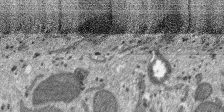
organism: Human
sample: Lung epithelial cells infected with SARS-CoV-2